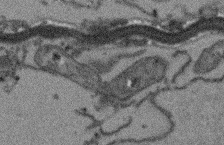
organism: Arabidopsis thaliana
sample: Root tip